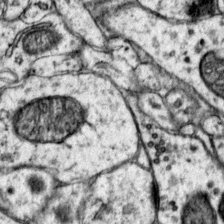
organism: Mouse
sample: Primary visual cortex